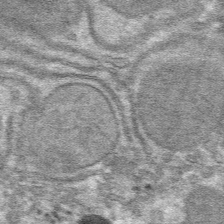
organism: Mouse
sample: Mouse hepatocytes